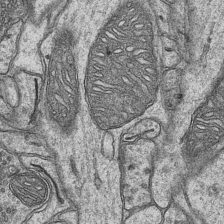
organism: Mouse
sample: CA1 Hippocampus